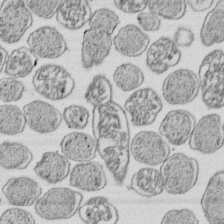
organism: E. coli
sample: Bacterial nucleoid